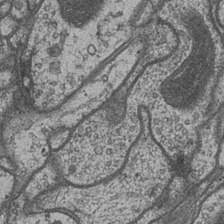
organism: Drosophila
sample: Optic medulla